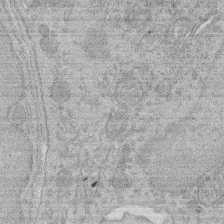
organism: Rat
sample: Salivary granule